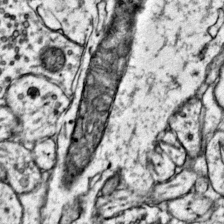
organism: Mouse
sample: Primary visual cortex